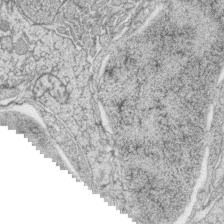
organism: Zebrafish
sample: synaptic ribbons in rod cells and cone cells